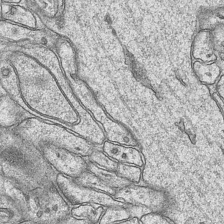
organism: Mouse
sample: CA1 Hippocampus